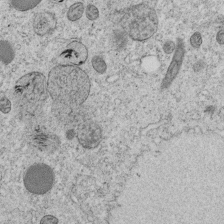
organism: C. elegans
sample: C. elegans embryo early stage